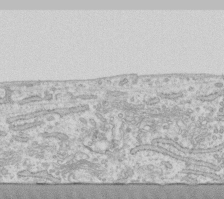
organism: Human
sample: Fibroblast cells